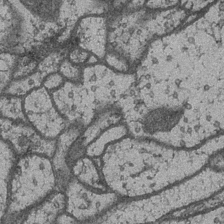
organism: Drosophila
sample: Optic medulla